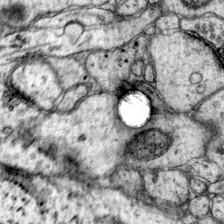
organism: Mouse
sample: Primary visual cortex